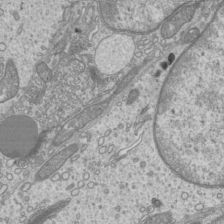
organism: Mouse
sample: Cilia; mouse epididymis